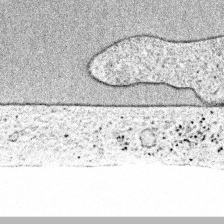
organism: Human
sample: HeLa cells